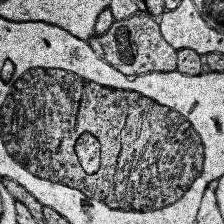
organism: Human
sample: Temporal Lobe